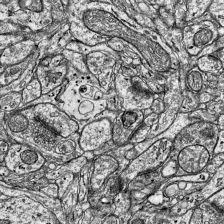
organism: Mouse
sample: Visual Cortex